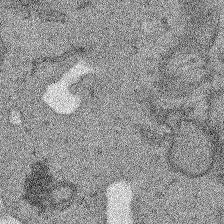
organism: Human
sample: HeLa cells